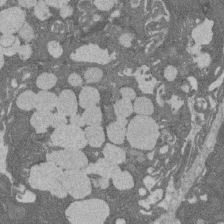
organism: Rat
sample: Salivary granule